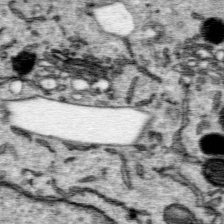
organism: Human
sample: HeLa cells